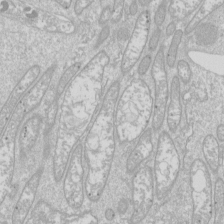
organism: Drosophila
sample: Cell division; meiosis; drosophila spermatocytes